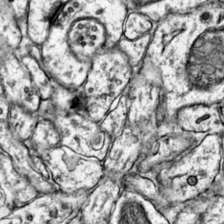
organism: Mouse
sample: Primary visual cortex